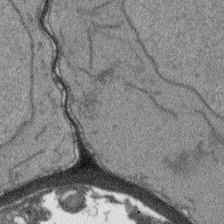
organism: Arabidopsis thaliana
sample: Root tip